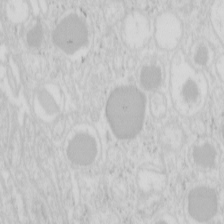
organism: Mouse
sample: Pancreas